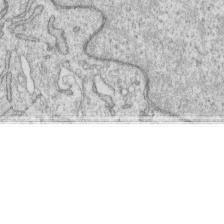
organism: Human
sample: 1205lu cells